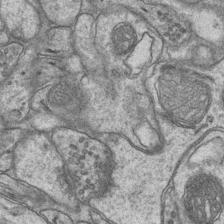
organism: Mouse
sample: CA1 Hippocampus